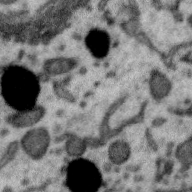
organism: Zebra finch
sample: Brain